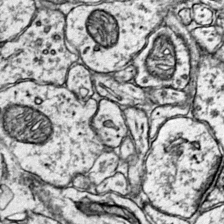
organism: Mouse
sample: Primary visual cortex